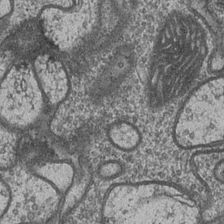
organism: Drosophila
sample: Optic medulla